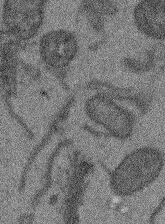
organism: Arabidopsis thaliana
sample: Root tip